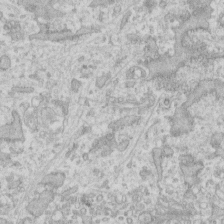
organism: Human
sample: Fibroblast cells